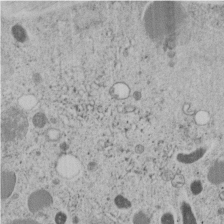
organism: C. elegans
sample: C. elegans embryo early stage